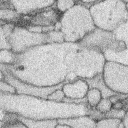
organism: Rabbit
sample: Retina